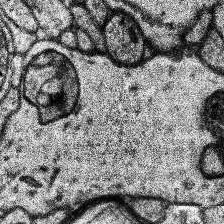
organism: Human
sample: Temporal Lobe